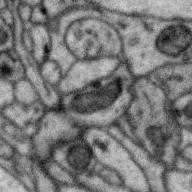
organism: Zebra finch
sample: Brain